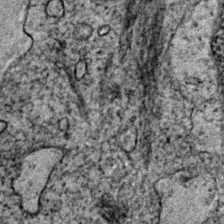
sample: Trachea